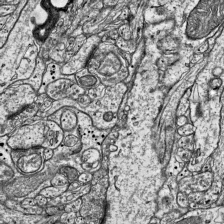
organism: Mouse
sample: Visual Cortex